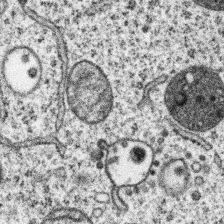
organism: Human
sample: HeLa cells